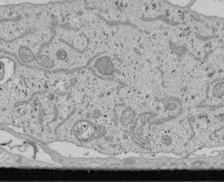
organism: Human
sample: Mitochondria in U2OS cells